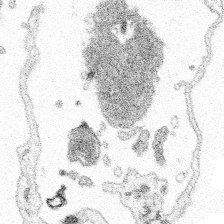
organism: Spongilla lacustris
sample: Multiple